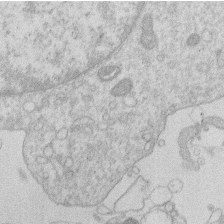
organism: Human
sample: Macrophage cells